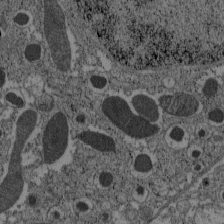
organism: C57BL Mouse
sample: Pancreatic islet